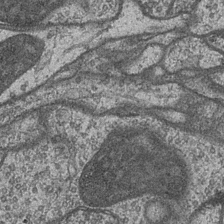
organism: Drosophila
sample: Optic medulla